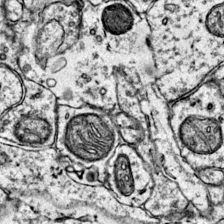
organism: Mouse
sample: Primary visual cortex